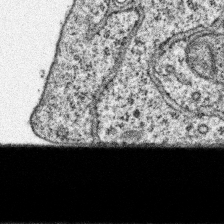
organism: Human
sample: HeLa cells